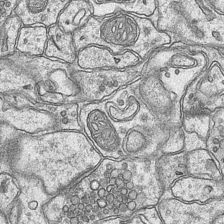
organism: Mouse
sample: CA1 Hippocampus